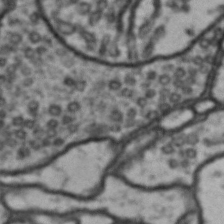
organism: Drosophila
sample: Brain